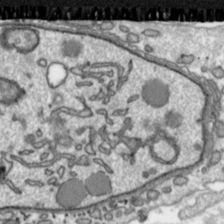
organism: Toxoplasma gondii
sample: Parasites in a vacuole inside a host cell